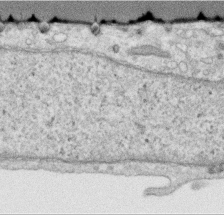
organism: Human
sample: Centriole in RPE cells